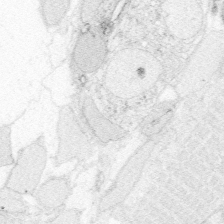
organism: Zebrafish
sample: Whole-Brain